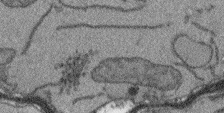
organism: Arabidopsis thaliana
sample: Root tip